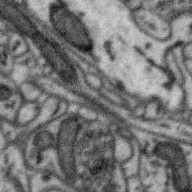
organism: Zebra finch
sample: Brain